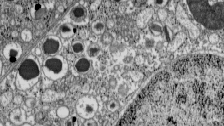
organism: C57BL Mouse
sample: Pancreatic islet